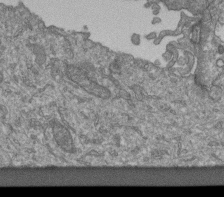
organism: Human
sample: Retinal organoid Rod and Cone cells